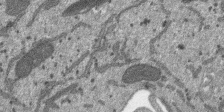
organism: Human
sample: Lung epithelial cells infected with SARS-CoV-2